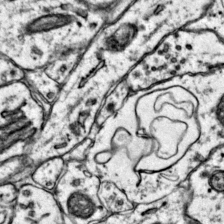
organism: Mouse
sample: Primary visual cortex